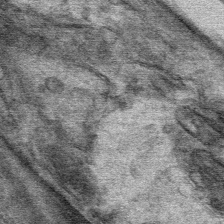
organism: Mouse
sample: Mouse Salivary gland